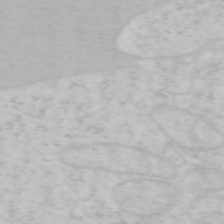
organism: Mouse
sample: OT-I killer T cells with ID8 ovarian cancer cells